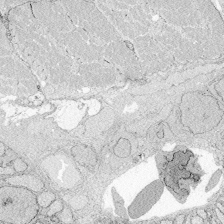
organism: Zebrafish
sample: Whole-Brain